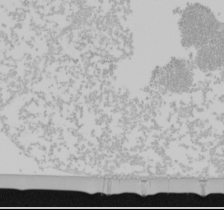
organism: Mouse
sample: Cancer cell death in ED-1 cells